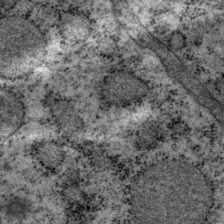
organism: P. pacificus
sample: Pharynx